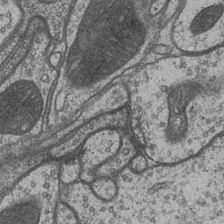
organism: Drosophila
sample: Optic medulla